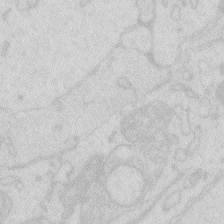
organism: Zebrafish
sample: Macrophage